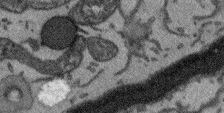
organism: Arabidopsis thaliana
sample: Root tip